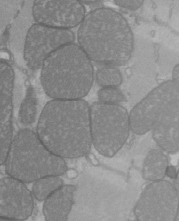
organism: C57BL Mouse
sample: Heart